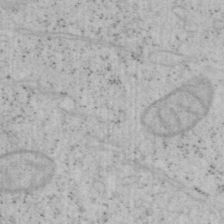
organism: Human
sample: HeLa cells